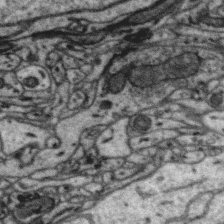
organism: Zebra finch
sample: Brain